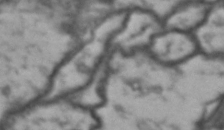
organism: Drosophila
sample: Brain